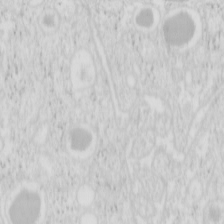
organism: Mouse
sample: Pancreas